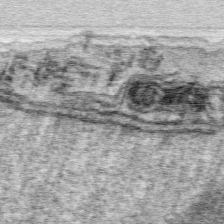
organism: Human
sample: HeLa cells